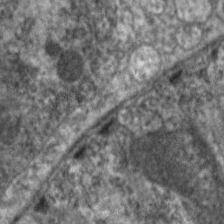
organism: C. elegans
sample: Pharynx